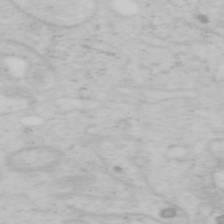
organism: Mouse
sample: OT-I killer T cells with ID8 ovarian cancer cells